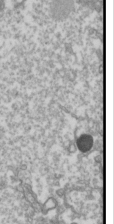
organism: Drosophila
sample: Cell division; meiosis; drosophila spermatocytes